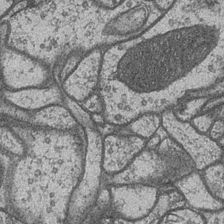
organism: Drosophila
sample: Optic medulla